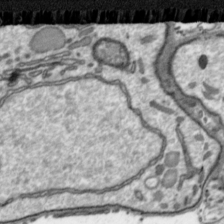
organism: Toxoplasma gondii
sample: Parasites in a vacuole inside a host cell